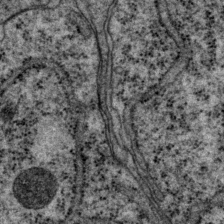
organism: P. pacificus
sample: Pharynx